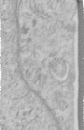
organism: Human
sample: Centriole in RPE cells